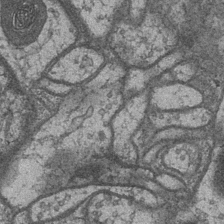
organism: Drosophila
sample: Optic medulla